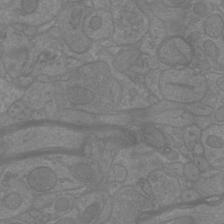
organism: Mouse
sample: Cortical neurons